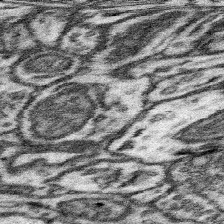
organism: Mouse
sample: Somatosensory cortex neuropil